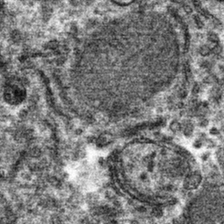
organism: Mouse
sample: Mouse hepatocytes